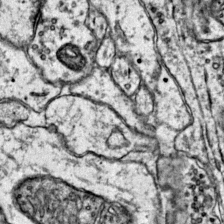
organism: Mouse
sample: Primary visual cortex